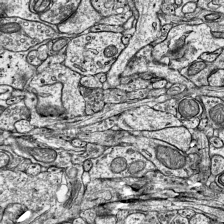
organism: Mouse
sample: Visual Cortex